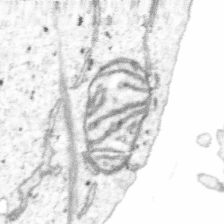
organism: Human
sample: HeLa cells